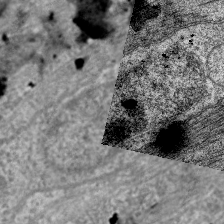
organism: C. elegans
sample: Pharynx